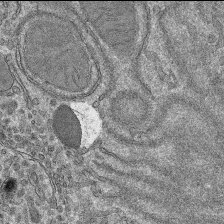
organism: Mouse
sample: Mouse hepatocytes